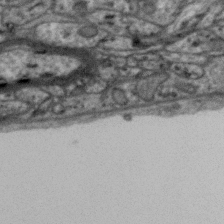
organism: Zebra finch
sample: Brain